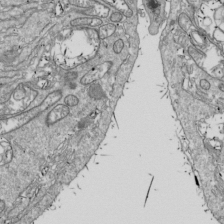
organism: Drosophila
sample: Cell division; meiosis; drosophila spermatocytes